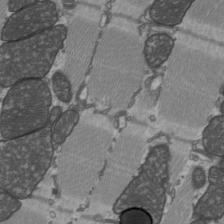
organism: C57BL Mouse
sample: Heart